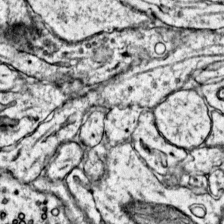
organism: Mouse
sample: Primary visual cortex